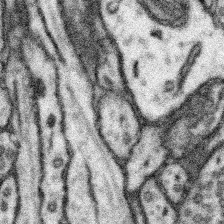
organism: Mouse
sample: Somatosensory cortex neuropil